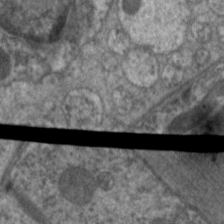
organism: C. elegans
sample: Pharynx